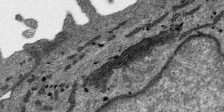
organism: Human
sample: Lung epithelial cells, uninfected (mock) control